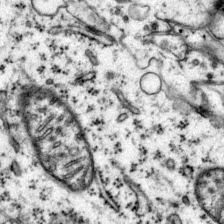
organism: Mouse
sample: Primary visual cortex